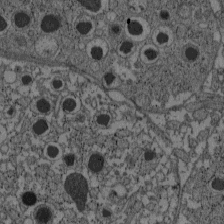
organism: C57BL Mouse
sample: Pancreatic islet